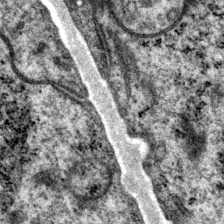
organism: P. pacificus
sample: Pharynx